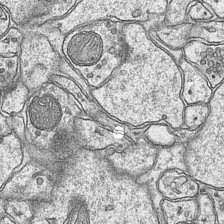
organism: Mouse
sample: CA1 Hippocampus